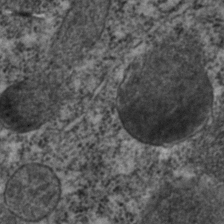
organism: C. elegans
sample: C. elegans embryo